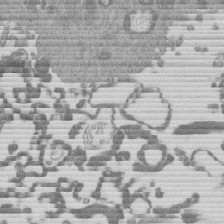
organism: Mouse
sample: Dividing mouse embryo 1 cell stage